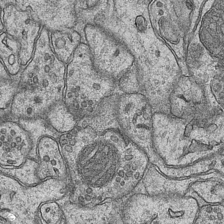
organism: Mouse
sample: CA1 Hippocampus